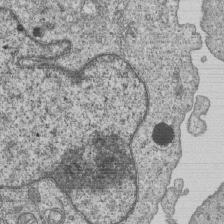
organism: Human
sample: MDA-MB-231 cells